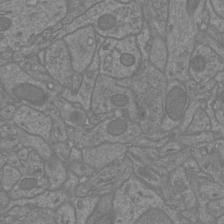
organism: Mouse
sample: Cortical neurons